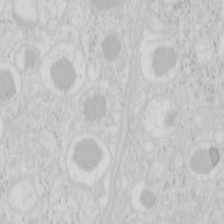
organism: Mouse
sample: Pancreas